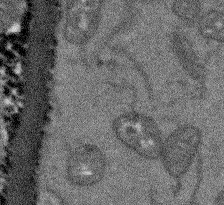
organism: Arabidopsis thaliana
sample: Root tip